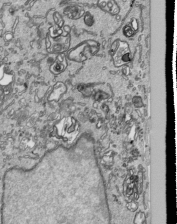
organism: Human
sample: Mitochondria in HCT116 cells